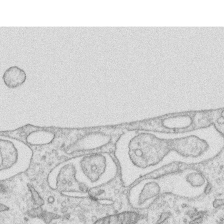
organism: Human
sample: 1205lu cells